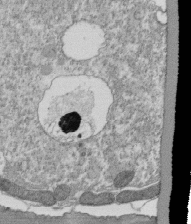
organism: Tetrahymena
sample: Cilia in tetrahymena